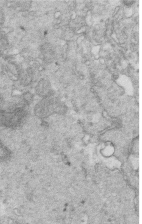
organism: Mouse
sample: Multiciliated cells